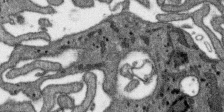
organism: Human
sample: Lung epithelial cells, uninfected (mock) control